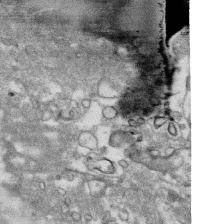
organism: Human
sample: CRL-1474